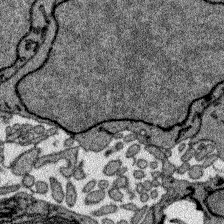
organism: Zebrafish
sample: Larval olfactory bulb